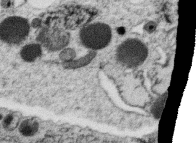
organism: C. elegans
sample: C. elegans oocyte; sperm cells